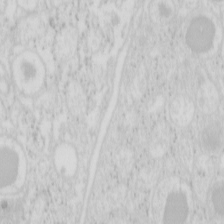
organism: Mouse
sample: Pancreas